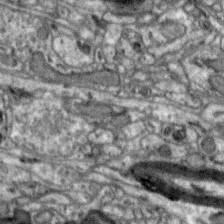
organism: Zebra finch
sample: Brain